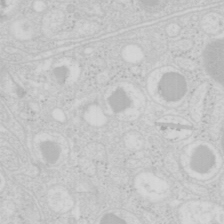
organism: Mouse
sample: Pancreas